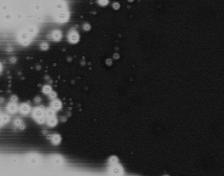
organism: Mouse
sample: Cancer cell death in ED-1 cells